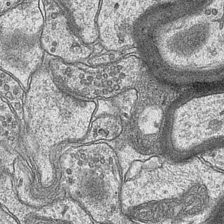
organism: Mouse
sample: CA1 Hippocampus